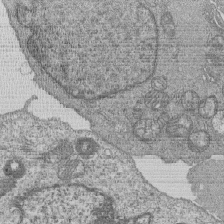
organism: Human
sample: MDA-MB-231 cells